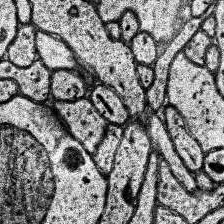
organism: Human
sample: Temporal Lobe